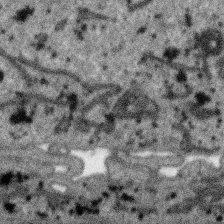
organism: Human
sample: Lung epithelial cells infected with SARS-CoV-2